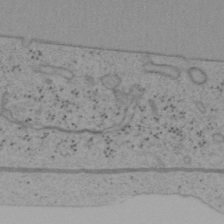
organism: Human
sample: HeLa cells